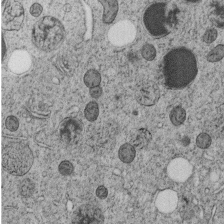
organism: C. elegans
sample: C. elegans embryo early stage